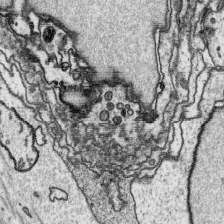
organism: Platynereis dumerilii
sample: Parapodia